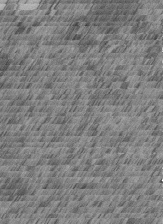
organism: C. elegans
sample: C. elegans embryo early stage